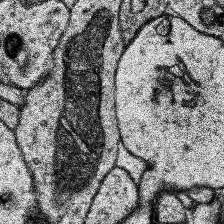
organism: Human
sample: Temporal Lobe